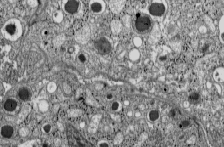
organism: C57BL Mouse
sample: Pancreatic islet